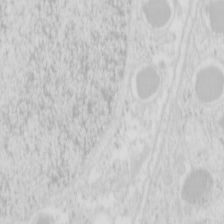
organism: Mouse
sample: Pancreas